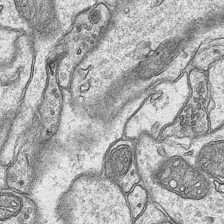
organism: Mouse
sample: CA1 Hippocampus